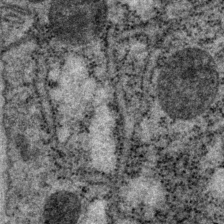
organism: P. pacificus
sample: Pharynx